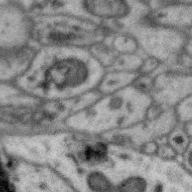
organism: Zebra finch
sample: Brain